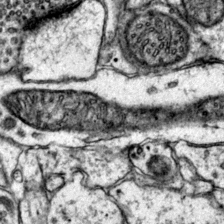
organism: Mouse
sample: Primary visual cortex